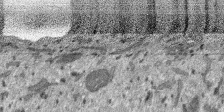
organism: Human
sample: Lung epithelial cells infected with SARS-CoV-2